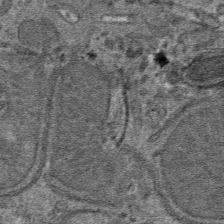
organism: Mouse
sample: Mouse hepatocytes